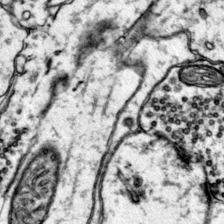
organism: Mouse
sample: Primary visual cortex